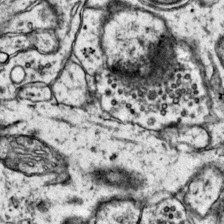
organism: Mouse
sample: Primary visual cortex